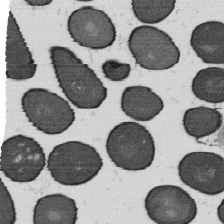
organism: B. subtilis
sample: Bacterial spore